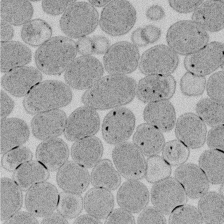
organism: E. coli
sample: Bacterial nucleoid